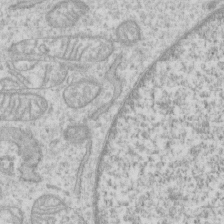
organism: Human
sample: CRL-1474